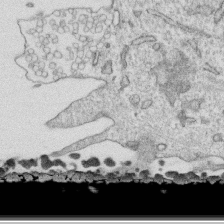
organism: Human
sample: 1205lu cells